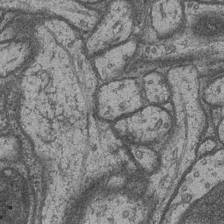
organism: Drosophila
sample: Optic medulla